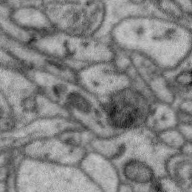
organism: Zebra finch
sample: Brain